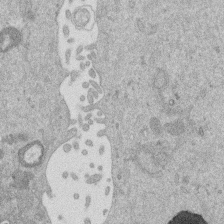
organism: Mouse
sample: Dividing mouse embryo 1 cell stage